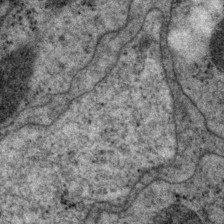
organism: P. pacificus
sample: Pharynx